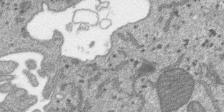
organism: Human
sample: Lung epithelial cells infected with SARS-CoV-2